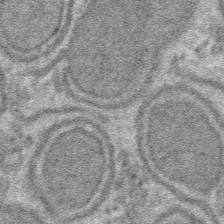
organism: Mouse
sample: Mouse hepatocytes